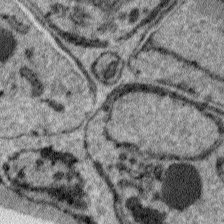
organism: Plasmodium falciparum